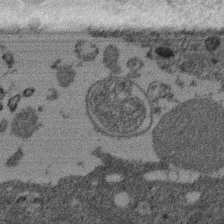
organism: Mouse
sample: Dividing mouse embryo 1 cell stage